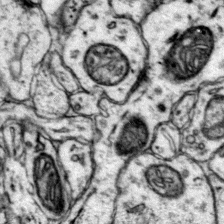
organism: Mouse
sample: Primary visual cortex